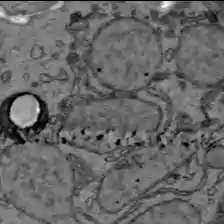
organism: C57BL Mouse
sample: Liver